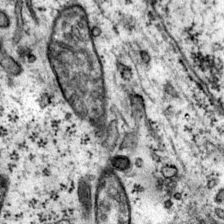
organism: Mouse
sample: Primary visual cortex